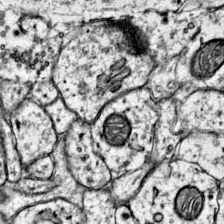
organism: Mouse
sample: Primary visual cortex